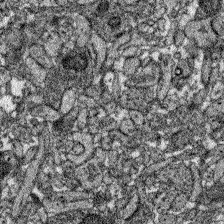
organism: Zebrafish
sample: Larval olfactory bulb